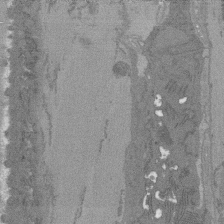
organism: C. elegans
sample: AFD neurons C. elegans